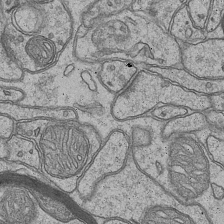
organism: Mouse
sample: CA1 Hippocampus